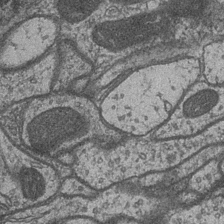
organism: Drosophila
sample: Optic medulla